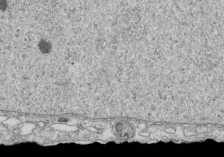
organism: Human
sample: HeLa cell HIV synapse